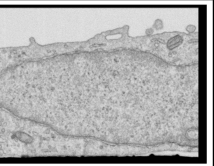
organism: Human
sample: Centriole in RPE cells